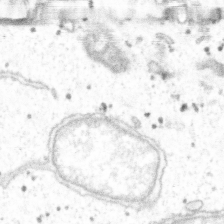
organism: Human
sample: HeLa cells